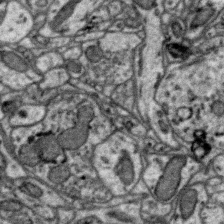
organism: Zebra finch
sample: Brain